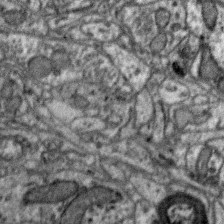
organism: Zebra finch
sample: Brain